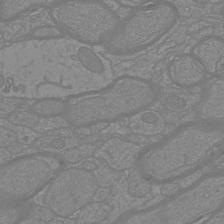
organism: Mouse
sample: Cortical neurons